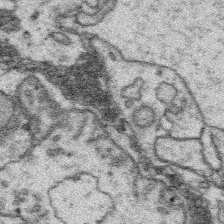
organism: Platynereis dumerilii